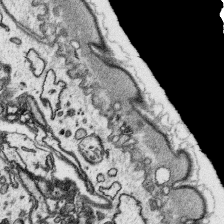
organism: Platynereis dumerilii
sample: Parapodia